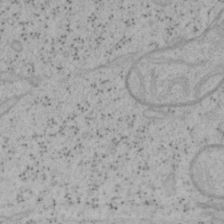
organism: Human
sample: HeLa cells